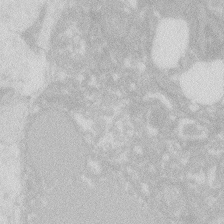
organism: Zebrafish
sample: Macrophage